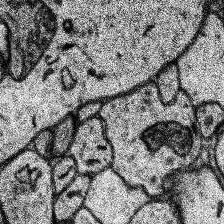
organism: Human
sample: Temporal Lobe